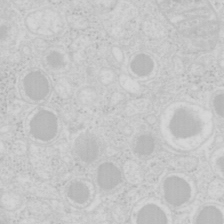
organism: Mouse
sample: Pancreas